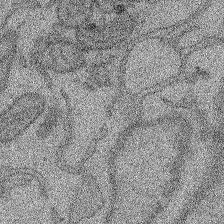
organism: Human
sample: HeLa cells